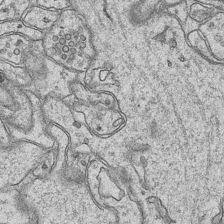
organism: Mouse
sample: CA1 Hippocampus